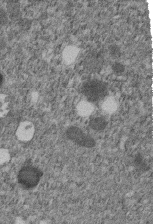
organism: C. elegans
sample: C. elegans embryo early stage